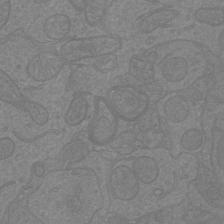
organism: Mouse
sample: Cortical neurons